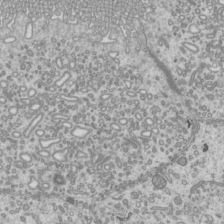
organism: Mouse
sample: Cilia; mouse epididymis